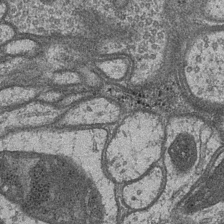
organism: Drosophila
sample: Optic medulla